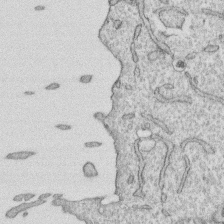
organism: Human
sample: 1205lu cells